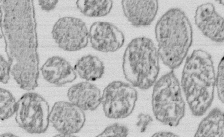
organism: E. coli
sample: Bacterial nucleoid